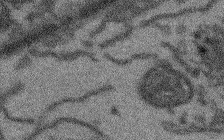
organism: Arabidopsis thaliana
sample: Root tip